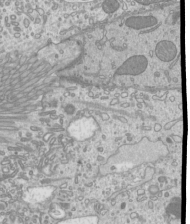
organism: Mouse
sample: Cilia; mouse epididymis